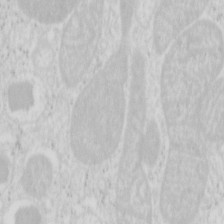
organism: Mouse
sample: Pancreas